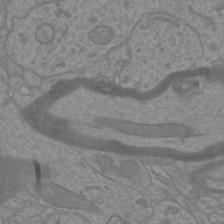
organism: Mouse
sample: Cortical neurons